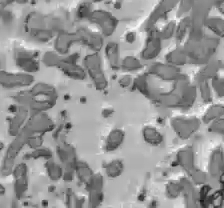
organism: C57BL Mouse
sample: Liver